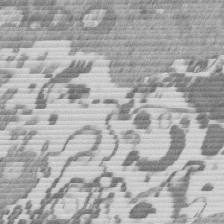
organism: Mouse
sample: Dividing mouse embryo 1 cell stage